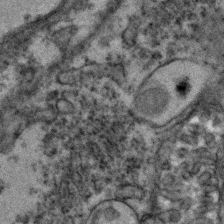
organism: Zebrafish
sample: Zebrafish embryo